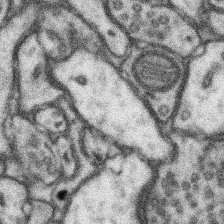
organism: Mouse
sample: Somatosensory cortex neuropil